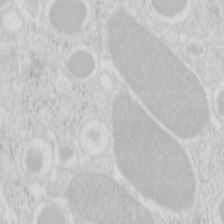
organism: Mouse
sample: Pancreas